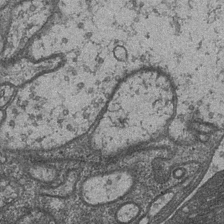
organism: Drosophila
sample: Optic medulla